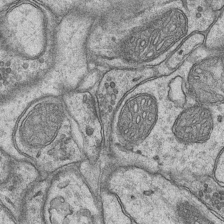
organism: Mouse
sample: CA1 Hippocampus